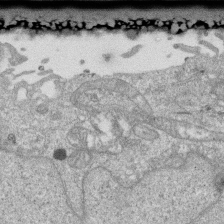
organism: Human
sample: HeLa cell HIV synapse